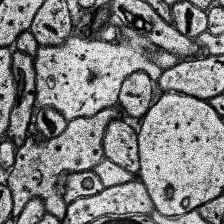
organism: Human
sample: Temporal Lobe